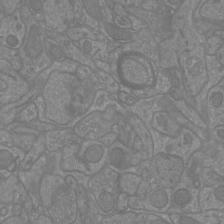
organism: Mouse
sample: Cortical neurons